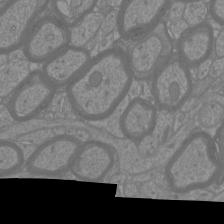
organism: Mouse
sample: Cortical neurons